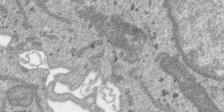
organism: Human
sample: Lung epithelial cells infected with SARS-CoV-2